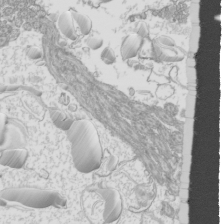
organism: Mouse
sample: Cilia; mouse epididymis